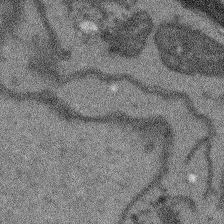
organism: Arabidopsis thaliana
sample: Root tip